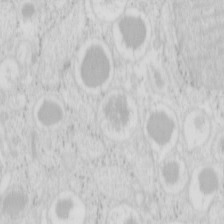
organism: Mouse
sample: Pancreas